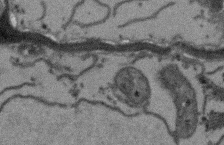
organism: Arabidopsis thaliana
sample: Root tip